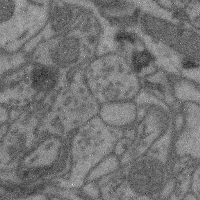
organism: Mouse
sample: Cerebral cortex